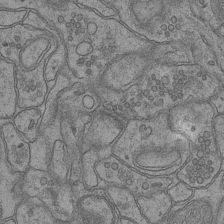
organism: Mouse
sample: CA1 Hippocampus